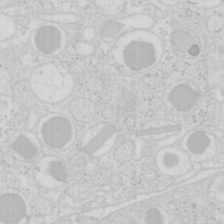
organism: Mouse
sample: Pancreas